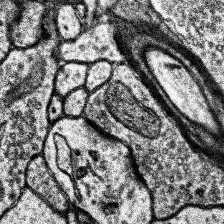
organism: Human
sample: Temporal Lobe